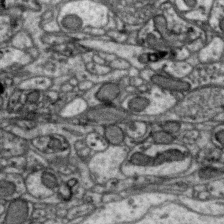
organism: Zebra finch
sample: Brain